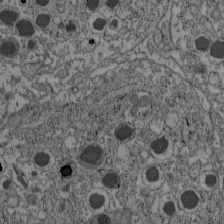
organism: C57BL Mouse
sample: Pancreatic islet